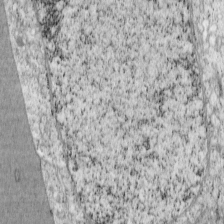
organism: African green monkey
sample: COS-7 cells